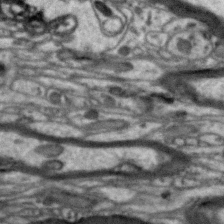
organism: Zebra finch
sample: Brain